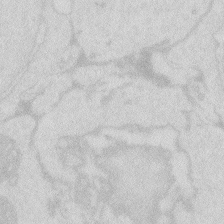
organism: Zebrafish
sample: Macrophage